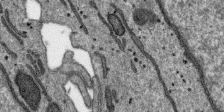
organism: Human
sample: Lung epithelial cells, uninfected (mock) control